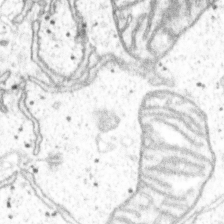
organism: Human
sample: HeLa cells